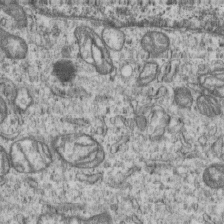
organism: Human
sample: MDA-MB-231 cells